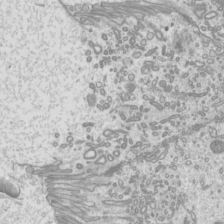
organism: Mouse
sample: Cilia; mouse epididymis